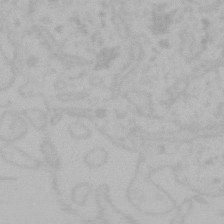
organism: Mouse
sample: Choroid plexus